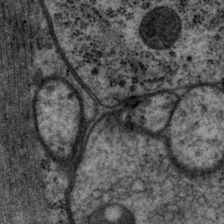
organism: P. pacificus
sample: Pharynx